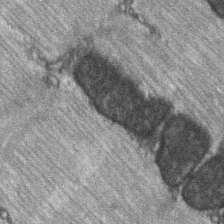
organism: C57BL Mouse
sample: Soleus